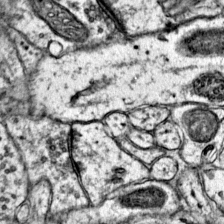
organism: Mouse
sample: Primary visual cortex